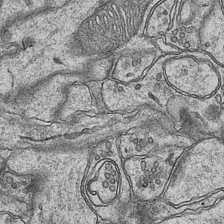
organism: Mouse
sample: CA1 Hippocampus